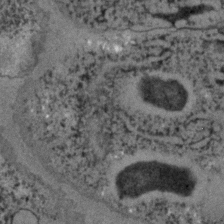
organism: C. elegans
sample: C. elegans embryo